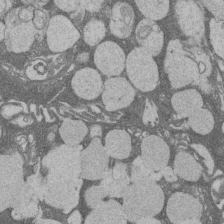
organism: Rat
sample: Salivary granule